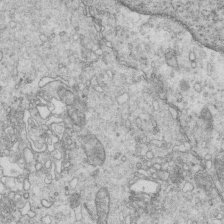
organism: Mouse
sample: Multiciliated cells